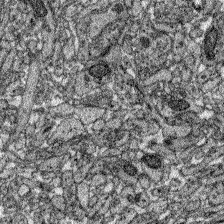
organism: Zebrafish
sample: Larval olfactory bulb